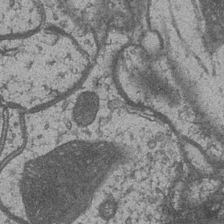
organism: Drosophila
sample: Optic medulla